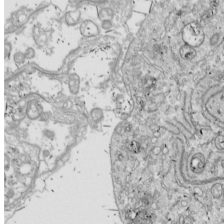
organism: Drosophila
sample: Cell division; meiosis; drosophila spermatocytes